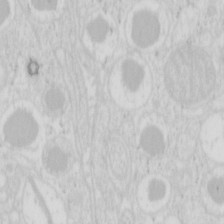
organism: Mouse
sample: Pancreas